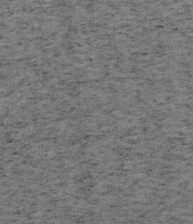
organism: Mouse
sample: OT-I killer T cells with ID8 ovarian cancer cells